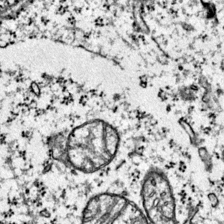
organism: Mouse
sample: Primary visual cortex